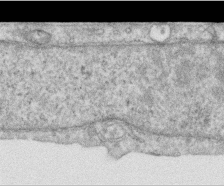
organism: Human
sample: Centriole in RPE cells